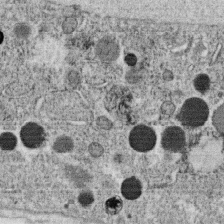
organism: C. elegans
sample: C. elegans oocyte; sperm cells